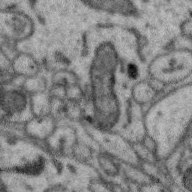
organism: Zebra finch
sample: Brain